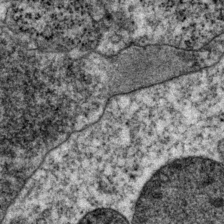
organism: P. pacificus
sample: Pharynx